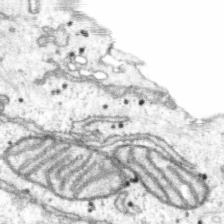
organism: Human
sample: HeLa cells